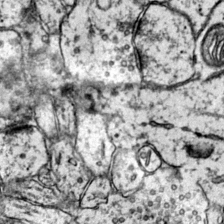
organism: Mouse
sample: Primary visual cortex